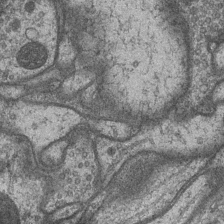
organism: Drosophila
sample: Optic medulla